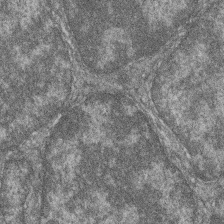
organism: Zebrafish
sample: Cilia; retinal pigment epithelium